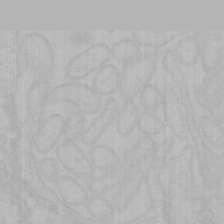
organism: Mouse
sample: Choroid plexus